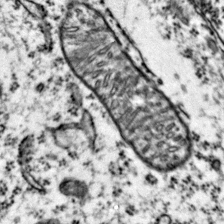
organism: Mouse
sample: Primary visual cortex